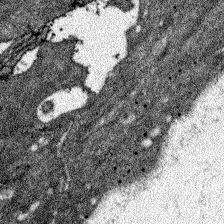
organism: Zebrafish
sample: Larval olfactory bulb